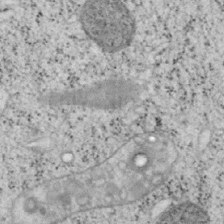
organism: Mouse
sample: OT-I killer T cells with ID8 ovarian cancer cells